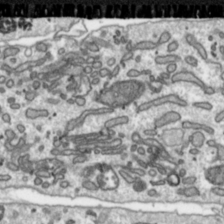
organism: Toxoplasma gondii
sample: Parasites in a vacuole inside a host cell